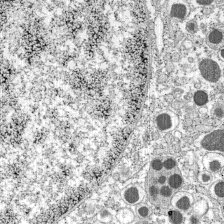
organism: C57BL Mouse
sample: Pancreatic islet